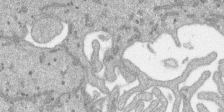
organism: Human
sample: Lung epithelial cells infected with SARS-CoV-2